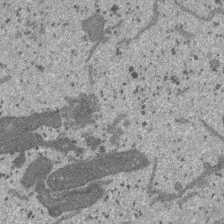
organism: Human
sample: Lung epithelial cells infected with SARS-CoV-2